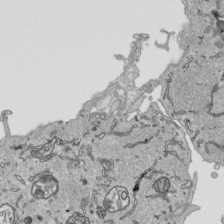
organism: Human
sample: Mitochondria in HCT116 cells